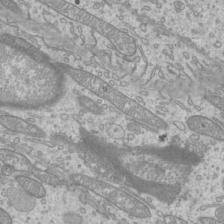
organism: Mouse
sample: Cilia; mouse epididymis